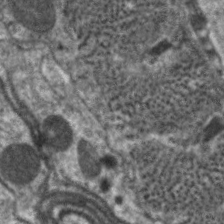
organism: C. elegans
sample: Pharynx